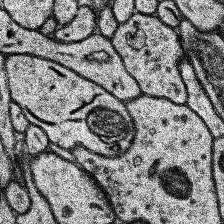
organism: Human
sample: Temporal Lobe